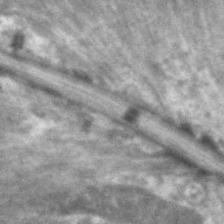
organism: C. elegans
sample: Pharynx